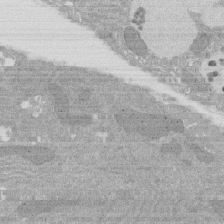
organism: Rat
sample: Salivary granule